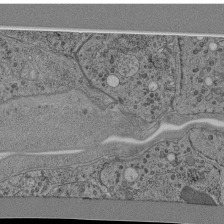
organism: C. elegans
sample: C. elegans pharynx